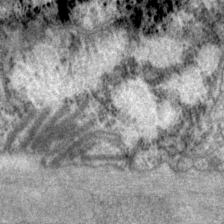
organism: P. pacificus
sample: Pharynx